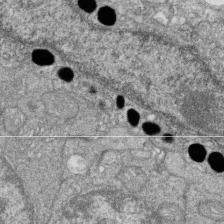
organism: Zebrafish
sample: Cilia; retinal pigment epithelium